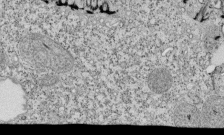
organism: Tetrahymena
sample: Cilia in tetrahymena